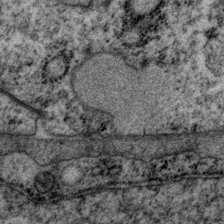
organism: P. pacificus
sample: Pharynx